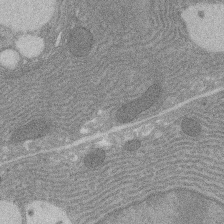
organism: Rat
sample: Salivary granule